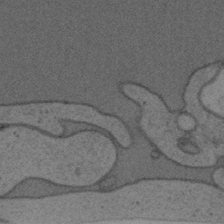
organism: Human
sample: HeLa cells